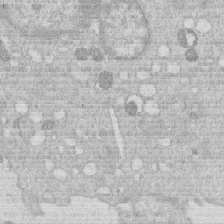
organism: Human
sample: Macrophage cells